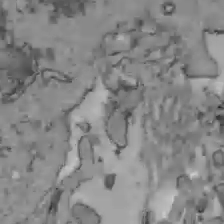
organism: C57BL Mouse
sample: Liver